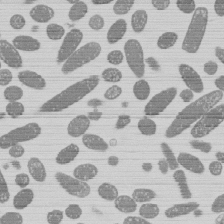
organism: E. coli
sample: Bacterial nucleoid